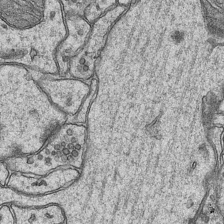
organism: Mouse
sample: CA1 Hippocampus